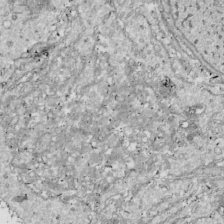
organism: Drosophila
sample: Cell division; meiosis; drosophila spermatocytes